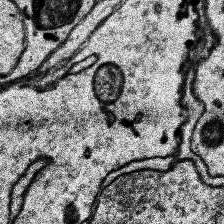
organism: Human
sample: Temporal Lobe